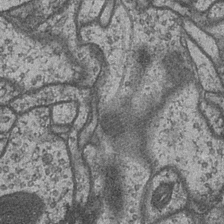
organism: Drosophila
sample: Optic medulla